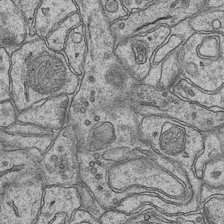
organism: Mouse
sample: CA1 Hippocampus